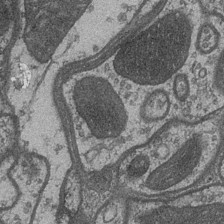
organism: Drosophila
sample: Optic medulla